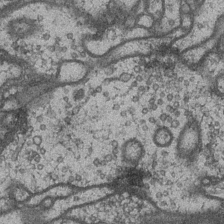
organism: Drosophila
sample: Optic medulla